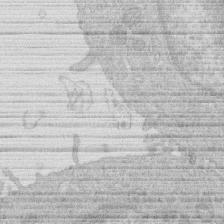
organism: Human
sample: Macrophage cells